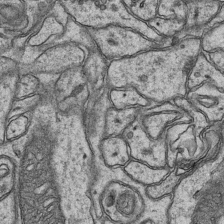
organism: Mouse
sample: CA1 Hippocampus